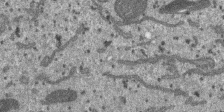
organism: Human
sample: Lung epithelial cells infected with SARS-CoV-2